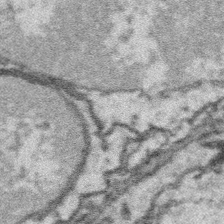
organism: Platynereis dumerilii